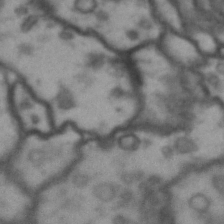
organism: Drosophila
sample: Brain